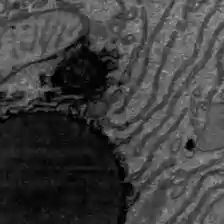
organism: C57BL Mouse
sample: Liver